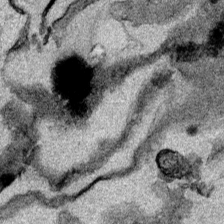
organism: Mouse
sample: Cancer cell death in ED-1 cells